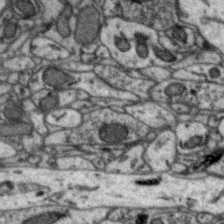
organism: Zebra finch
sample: Brain